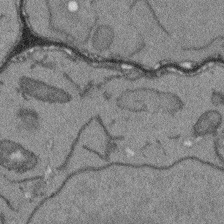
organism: Arabidopsis thaliana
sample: Root tip